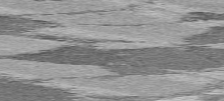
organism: C57BL Mouse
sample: Heart